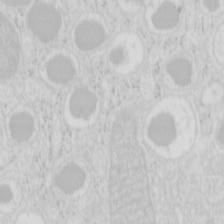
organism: Mouse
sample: Pancreas